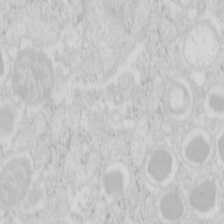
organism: Mouse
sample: Pancreas